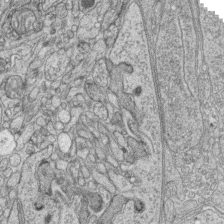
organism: Zebrafish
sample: synaptic ribbons in rod cells and cone cells